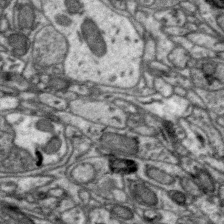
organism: Zebra finch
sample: Brain